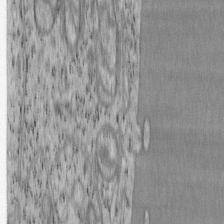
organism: Human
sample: HeLa cells